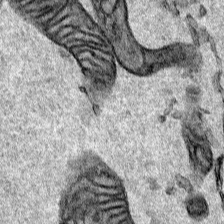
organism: Human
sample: Mitochondria in HCT116 cells